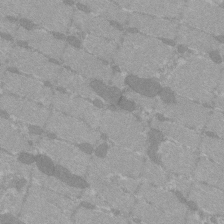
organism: C57BL Mouse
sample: Tibialis anterior muscle cell